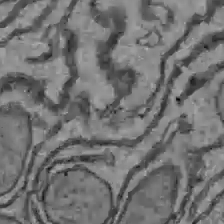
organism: C57BL Mouse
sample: Liver